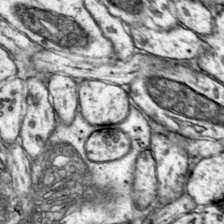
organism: Mouse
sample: Primary visual cortex